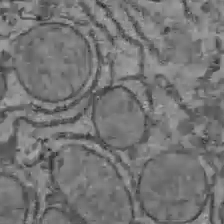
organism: C57BL Mouse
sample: Liver